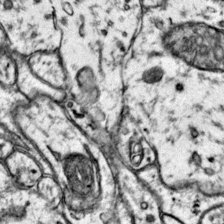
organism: Mouse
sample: Primary visual cortex